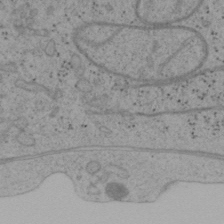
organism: Human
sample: HeLa cells